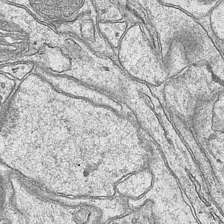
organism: Mouse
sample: CA1 Hippocampus